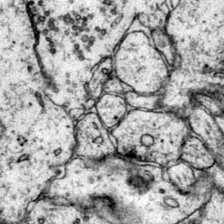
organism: Mouse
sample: Primary visual cortex